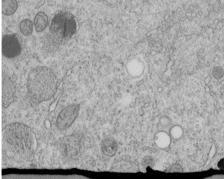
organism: C. elegans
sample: C. elegans embryo early stage